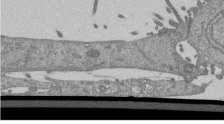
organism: Mouse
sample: ED-1 cell nuclei; centrioles